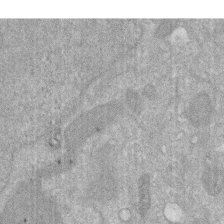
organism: Human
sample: HIV infected U937 cells